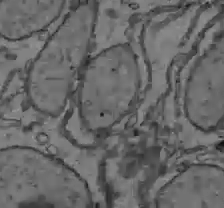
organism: C57BL Mouse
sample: Liver